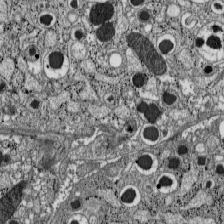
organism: C57BL Mouse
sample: Pancreatic islet